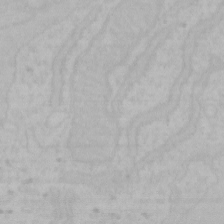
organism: Mouse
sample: Choroid plexus